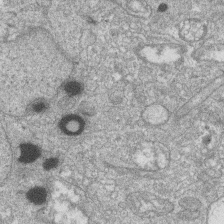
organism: Human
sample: HeLa cell HIV synapse